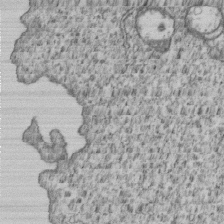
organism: Human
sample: MDA-MB-231 cells